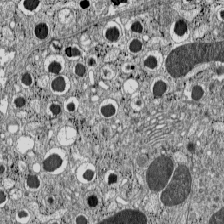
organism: C57BL Mouse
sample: Pancreatic islet